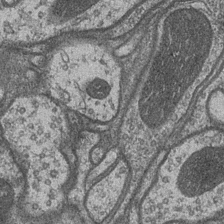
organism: Drosophila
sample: Optic medulla